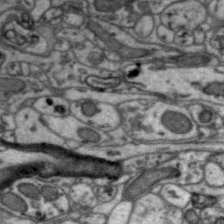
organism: Zebra finch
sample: Brain